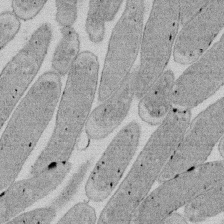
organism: E. coli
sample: Bacterial nucleoid